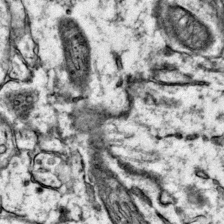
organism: Mouse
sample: Primary visual cortex